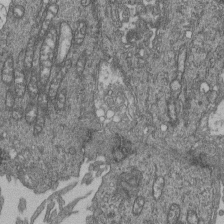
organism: Human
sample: Retinal organoid Rod and Cone cells